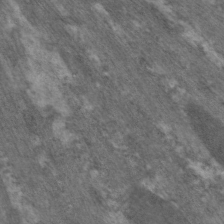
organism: C. elegans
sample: Pharynx